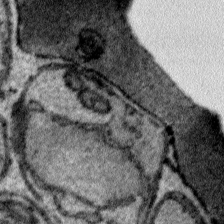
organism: Plasmodium falciparum